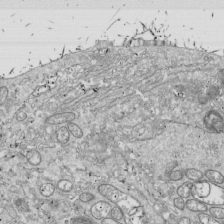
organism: Drosophila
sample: Cell division; meiosis; drosophila spermatocytes